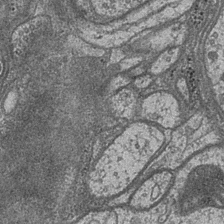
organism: Drosophila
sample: Optic medulla